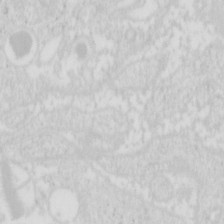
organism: Mouse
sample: Pancreas